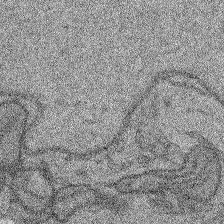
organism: Human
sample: HeLa cells